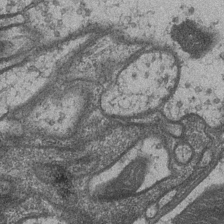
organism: Drosophila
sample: Optic medulla